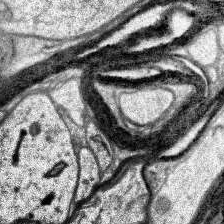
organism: Human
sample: Temporal Lobe